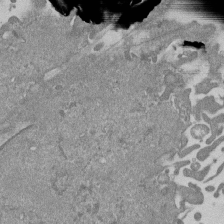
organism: Mouse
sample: ED-1 cell nuclei; centrioles